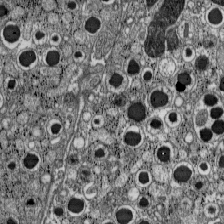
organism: C57BL Mouse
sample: Pancreatic islet